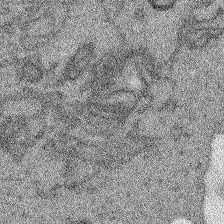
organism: Human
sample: HeLa cells